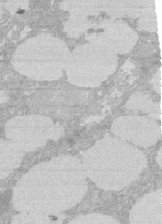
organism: Rat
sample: Salivary granule